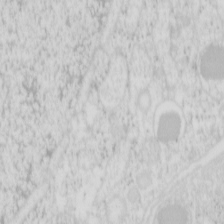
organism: Mouse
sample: Pancreas